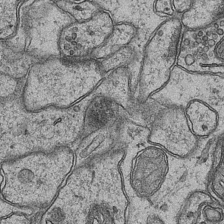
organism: Mouse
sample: CA1 Hippocampus